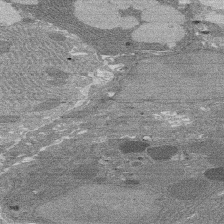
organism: Rat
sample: Salivary granule